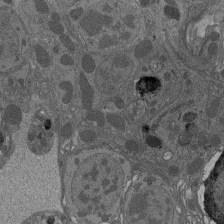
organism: Drosophila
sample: Antenna